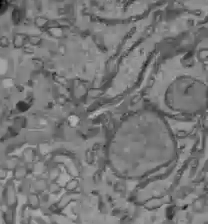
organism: C57BL Mouse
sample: Liver